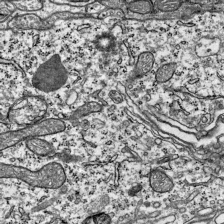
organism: Mouse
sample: Visual Cortex